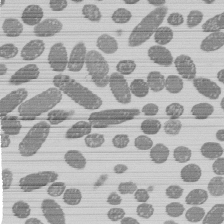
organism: E. coli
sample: Bacterial nucleoid